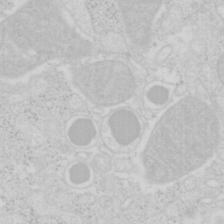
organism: Mouse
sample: Pancreas